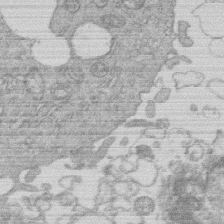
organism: Human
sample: Macrophage cells